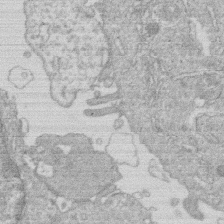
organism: Human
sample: Macrophage cells